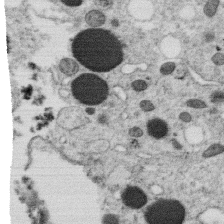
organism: C. elegans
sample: C. elegans oocyte; sperm cells